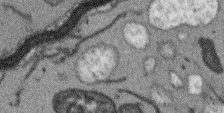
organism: Arabidopsis thaliana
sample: Root tip